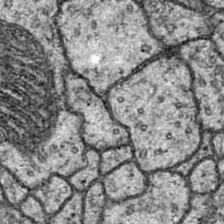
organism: Drosophila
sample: Ventral Nerve Cord